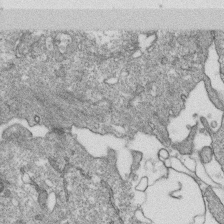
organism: African green monkey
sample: Vero E6 cells infected with SARS-CoV-2